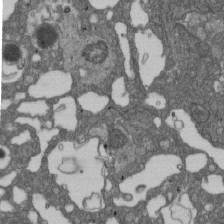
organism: Drosophila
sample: Nephrocyte